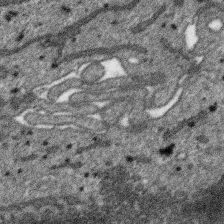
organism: Human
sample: Lung epithelial cells infected with SARS-CoV-2